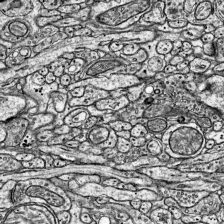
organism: Mouse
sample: Visual Cortex